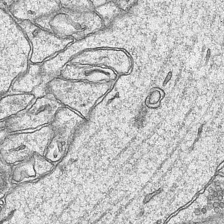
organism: Mouse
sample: CA1 Hippocampus